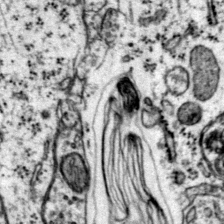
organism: Mouse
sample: Primary visual cortex